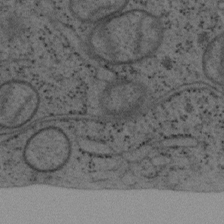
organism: Human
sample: HeLa cells